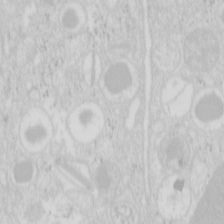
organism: Mouse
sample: Pancreas